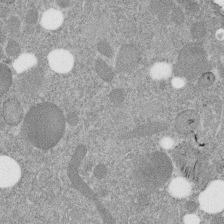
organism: C. elegans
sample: C. elegans embryo early stage